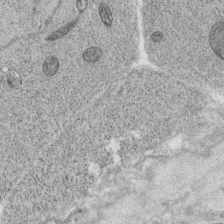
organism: C. elegans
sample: C. elegans oocyte; sperm cells